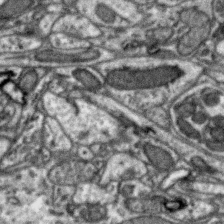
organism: Zebra finch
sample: Brain